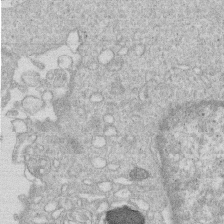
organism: Human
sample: Macrophage cells